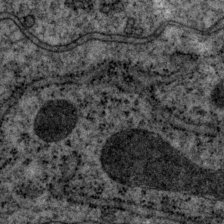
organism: P. pacificus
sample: Pharynx